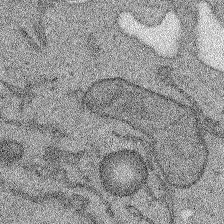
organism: Human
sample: HeLa cells